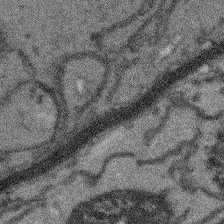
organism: Arabidopsis thaliana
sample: Root tip